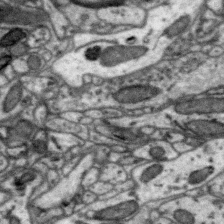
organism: Zebra finch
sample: Brain